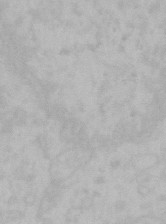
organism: Mouse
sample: Choroid plexus